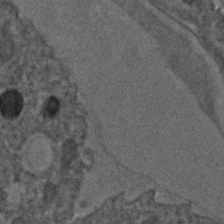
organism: C. elegans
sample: C. elegans embryo